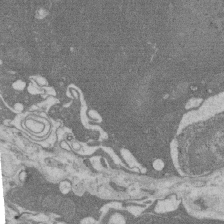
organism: Rat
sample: Salivary granule